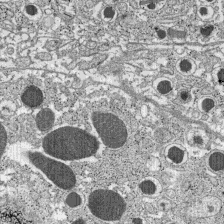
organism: C57BL Mouse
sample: Pancreatic islet